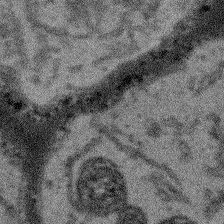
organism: Arabidopsis thaliana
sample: Root tip